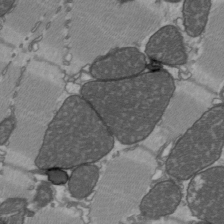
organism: C57BL Mouse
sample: Heart